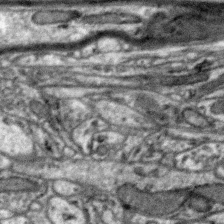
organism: Zebra finch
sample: Brain